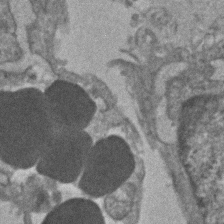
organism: Human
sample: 1205lu cells